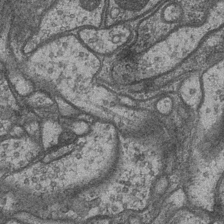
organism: Drosophila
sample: Optic medulla